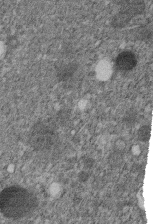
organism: C. elegans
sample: C. elegans embryo early stage